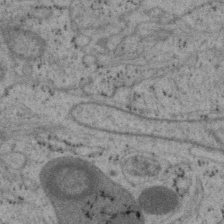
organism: Human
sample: HeLa cells